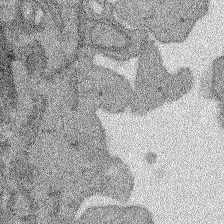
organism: Human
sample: HeLa cells